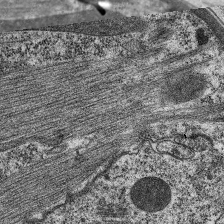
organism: C. elegans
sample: Pharynx